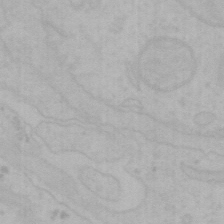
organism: Mouse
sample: Choroid plexus